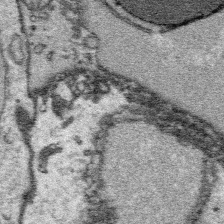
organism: Platynereis dumerilii